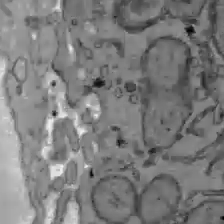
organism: C57BL Mouse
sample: Liver